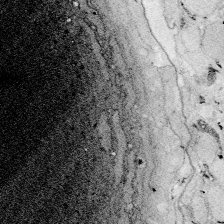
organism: Zebrafish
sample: Whole-Brain